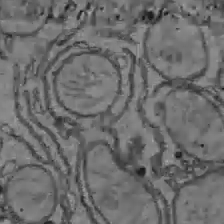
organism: C57BL Mouse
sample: Liver